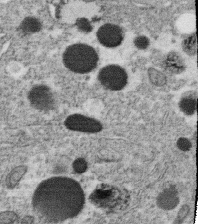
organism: C. elegans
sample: C. elegans oocyte; sperm cells